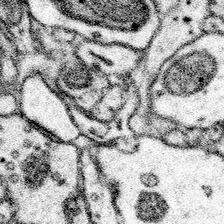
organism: Mouse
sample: Somatosensory cortex neuropil